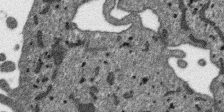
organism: Human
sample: Lung epithelial cells infected with SARS-CoV-2